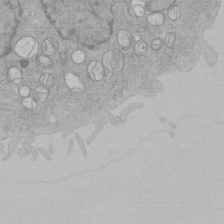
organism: Human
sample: Mitochondria in HCT116 cells